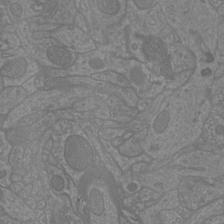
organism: Mouse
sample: Cortical neurons